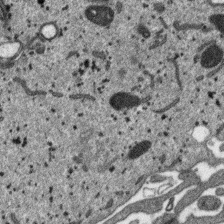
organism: Human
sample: Lung epithelial cells infected with SARS-CoV-2